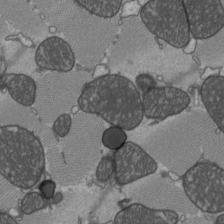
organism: C57BL Mouse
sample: Heart